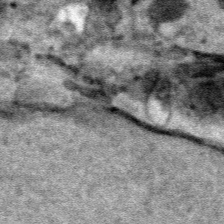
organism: Human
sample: Mitochondria in HCT116 cells